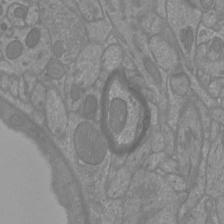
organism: Mouse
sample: Cortical neurons